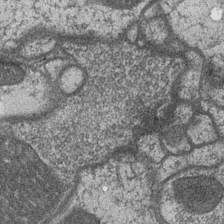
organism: Drosophila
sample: Optic medulla